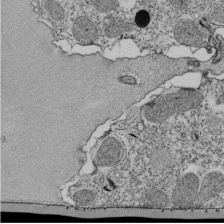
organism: Tetrahymena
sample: Cilia in tetrahymena